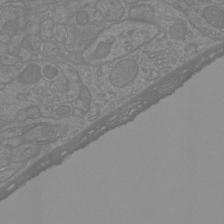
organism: Mouse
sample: Cortical neurons